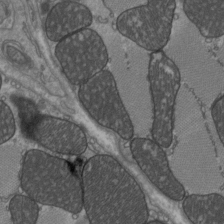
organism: C57BL Mouse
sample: Heart